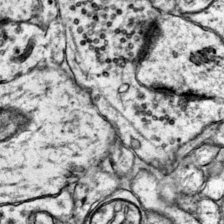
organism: Mouse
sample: Primary visual cortex